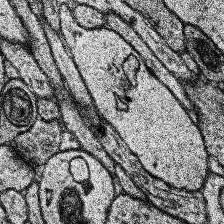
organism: Human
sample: Temporal Lobe